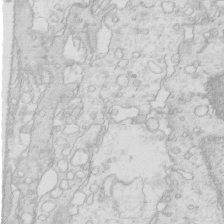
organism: Mouse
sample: Multiciliated cells